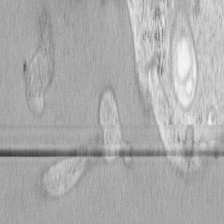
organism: Human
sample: HeLa cells